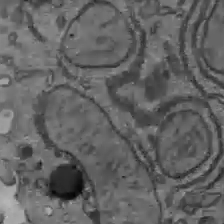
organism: C57BL Mouse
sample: Liver